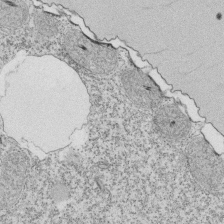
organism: Tetrahymena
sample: Cilia in tetrahymena